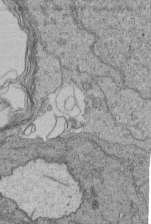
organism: Human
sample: Retinal organoid Rod and Cone cells